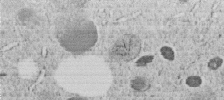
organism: C. elegans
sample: C. elegans embryo early stage